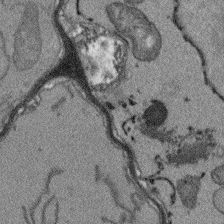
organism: Arabidopsis thaliana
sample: Root tip